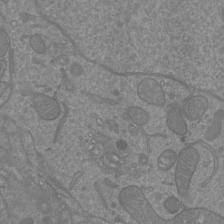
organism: Mouse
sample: Cortical neurons